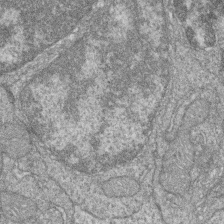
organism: Zebrafish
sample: Cilia; retinal pigment epithelium